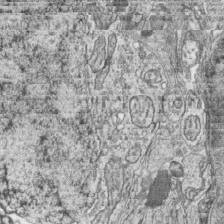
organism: Zebrafish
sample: synaptic ribbons in rod cells and cone cells